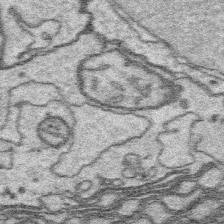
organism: Platynereis dumerilii